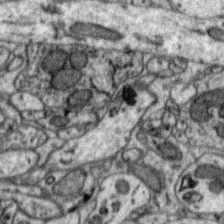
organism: Zebra finch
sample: Brain